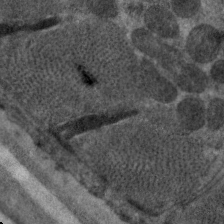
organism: C. elegans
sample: Pharynx